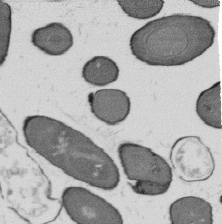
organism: B. subtilis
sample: Bacterial spore